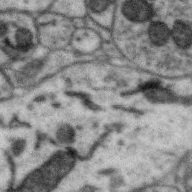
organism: Zebra finch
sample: Brain